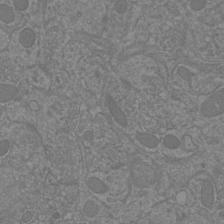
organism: Mouse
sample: Cortical neurons